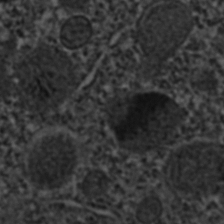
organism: C. elegans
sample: C. elegans embryo